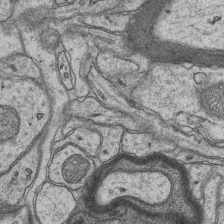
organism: Mouse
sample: CA1 Hippocampus